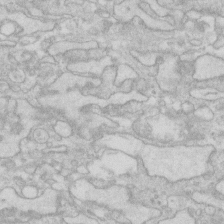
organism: Human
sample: Fibroblast cells